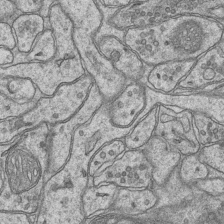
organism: Mouse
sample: CA1 Hippocampus